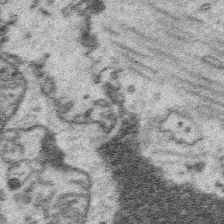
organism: Platynereis dumerilii